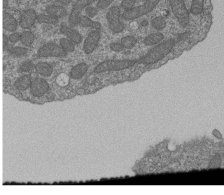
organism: Human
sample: Retinal organoid Rod and Cone cells